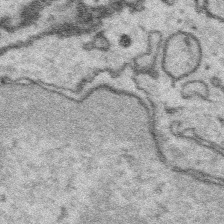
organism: Platynereis dumerilii